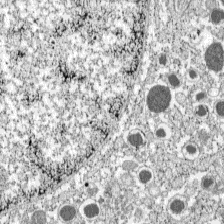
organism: C57BL Mouse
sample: Pancreatic islet